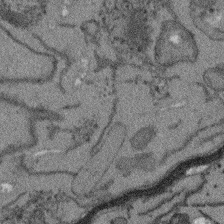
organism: Arabidopsis thaliana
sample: Root tip